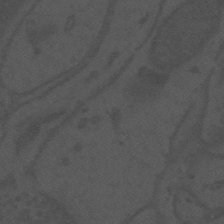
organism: Mouse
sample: Suprachiasmatic nucleus